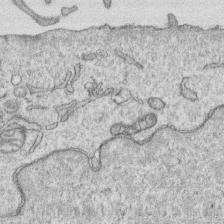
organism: Human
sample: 1205lu cells